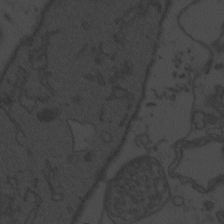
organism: Zebrafish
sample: Macrophage infected with Toxoplasma gondii